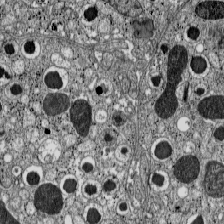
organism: C57BL Mouse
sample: Pancreatic islet